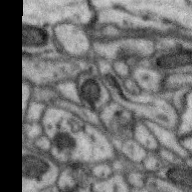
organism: Zebra finch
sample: Brain